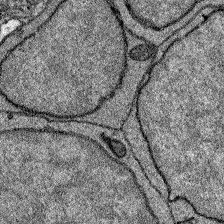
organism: Zebrafish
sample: Larval olfactory bulb